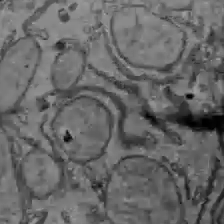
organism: C57BL Mouse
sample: Liver